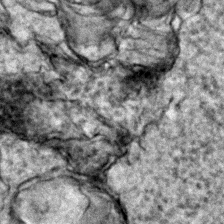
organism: Zebrafish